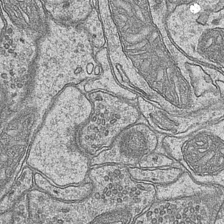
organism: Mouse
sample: CA1 Hippocampus